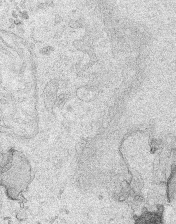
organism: Human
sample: Mitochondria in HCT116 cells